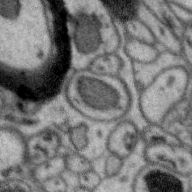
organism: Zebra finch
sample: Brain